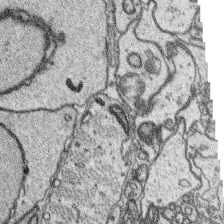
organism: Platynereis dumerilii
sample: Parapodia